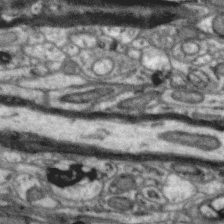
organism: Zebra finch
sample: Brain